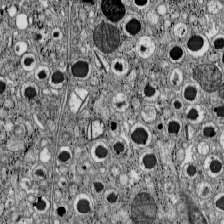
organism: C57BL Mouse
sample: Pancreatic islet